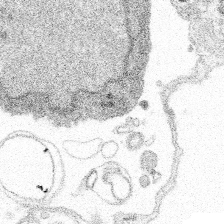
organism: Spongilla lacustris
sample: Multiple